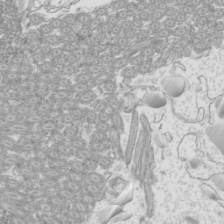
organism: Mouse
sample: Cilia; mouse epididymis